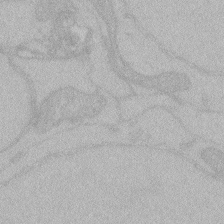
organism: Zebrafish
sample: Macrophage infected with Toxoplasma gondii